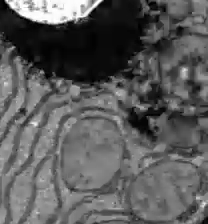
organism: C57BL Mouse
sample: Liver